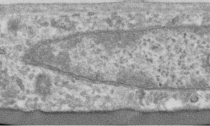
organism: Human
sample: Centriole in RPE cells